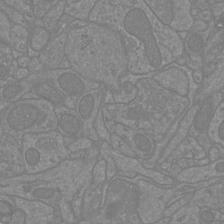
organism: Mouse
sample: Cortical neurons